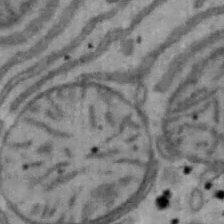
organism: Mouse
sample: Liver